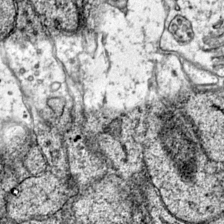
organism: Mouse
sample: Primary visual cortex